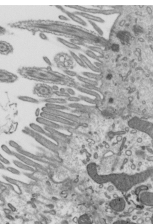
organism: Mouse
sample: Mouse epididymis efferent ductule cilia